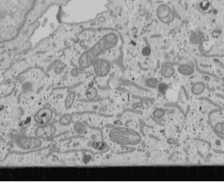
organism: Human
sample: Mitochondria in U2OS cells